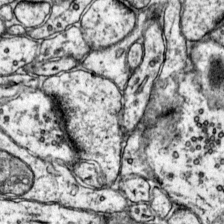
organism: Mouse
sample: Primary visual cortex